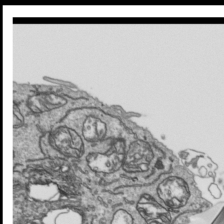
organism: Human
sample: Mitochondria in HCT116 cells